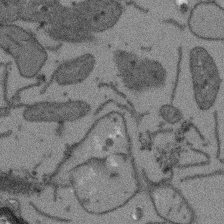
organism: Arabidopsis thaliana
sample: Root tip